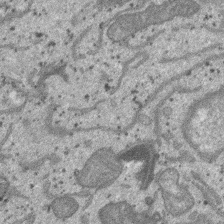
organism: Human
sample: Lung epithelial cells infected with SARS-CoV-2